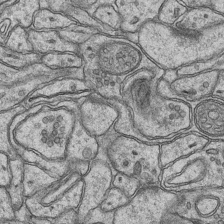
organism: Mouse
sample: CA1 Hippocampus